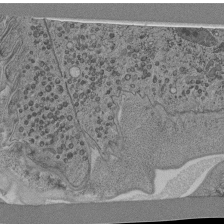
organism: C. elegans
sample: C. elegans pharynx